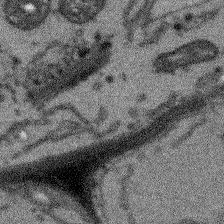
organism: Arabidopsis thaliana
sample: Root tip